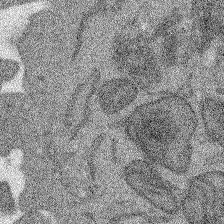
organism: Human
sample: HeLa cells